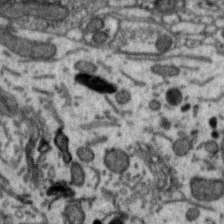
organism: Zebra finch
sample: Brain